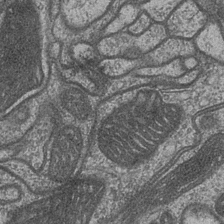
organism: Drosophila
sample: Optic medulla